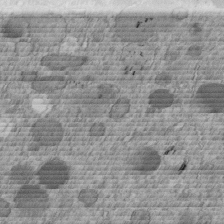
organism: C. elegans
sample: C. elegans embryo early stage